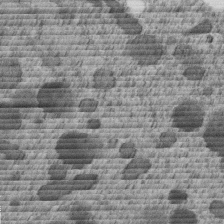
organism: C. elegans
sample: C. elegans embryo early stage